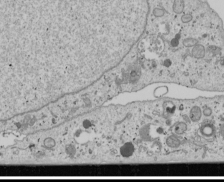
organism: Human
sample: Mitochondria in U2OS cells